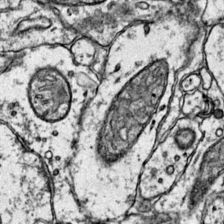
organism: Mouse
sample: Primary visual cortex